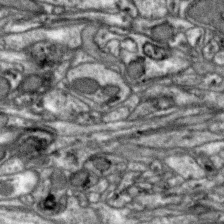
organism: Zebra finch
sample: Brain